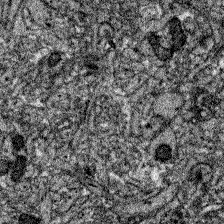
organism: Zebrafish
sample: Larval olfactory bulb